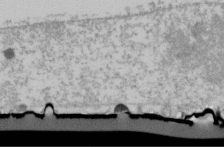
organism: Human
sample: U2-OS cells